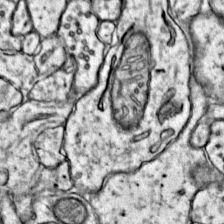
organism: Mouse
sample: Primary visual cortex